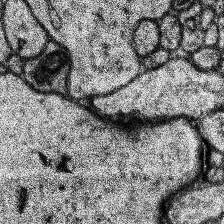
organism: Human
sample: Temporal Lobe